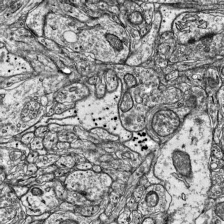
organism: Mouse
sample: Visual Cortex